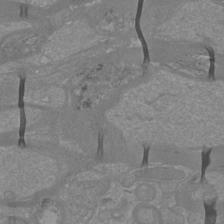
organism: Mouse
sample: Cortical neurons